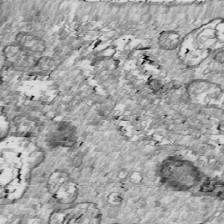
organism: Drosophila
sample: Cell division; meiosis; drosophila spermatocytes